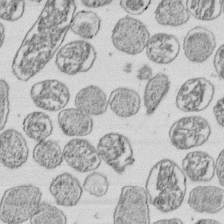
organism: E. coli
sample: Bacterial nucleoid